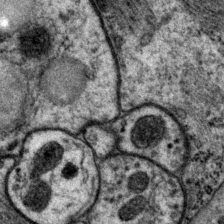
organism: P. pacificus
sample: Pharynx